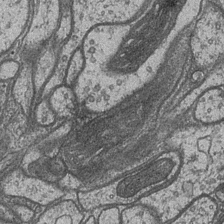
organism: Drosophila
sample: Optic medulla